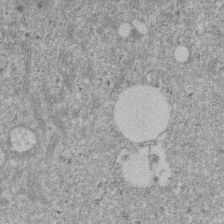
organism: Mouse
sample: Dividing mouse embryo 1 cell stage